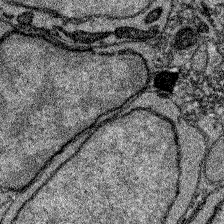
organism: Zebrafish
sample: Larval olfactory bulb